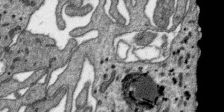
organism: Human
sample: Lung epithelial cells, uninfected (mock) control